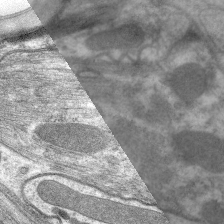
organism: C. elegans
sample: Pharynx